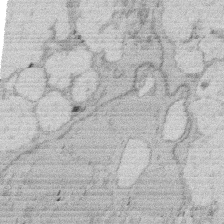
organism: Rat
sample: Salivary granule